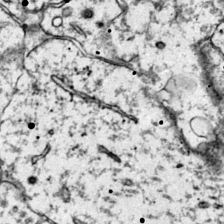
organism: Mouse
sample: Primary visual cortex